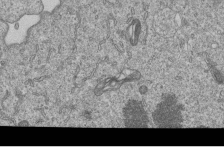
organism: Human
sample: MDA-MB-231 cells